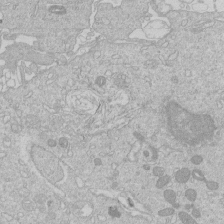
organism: Human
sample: Macrophage cells